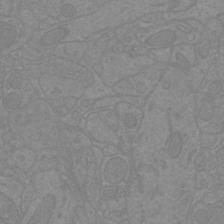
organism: Mouse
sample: Cortical neurons